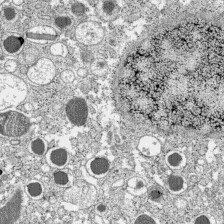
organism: C57BL Mouse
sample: Pancreatic islet